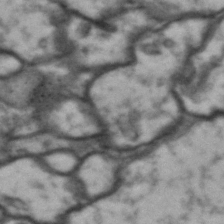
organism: Drosophila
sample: Brain